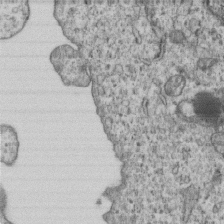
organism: Human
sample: MDA-MB-231 cells